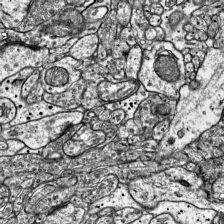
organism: Mouse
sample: Visual Cortex